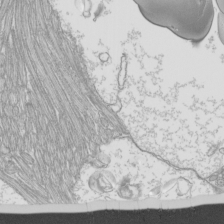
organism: Mouse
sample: Cilia; mouse epididymis